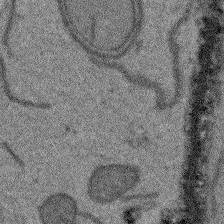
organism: Arabidopsis thaliana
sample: Root tip